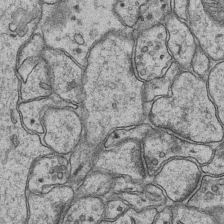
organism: Mouse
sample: CA1 Hippocampus